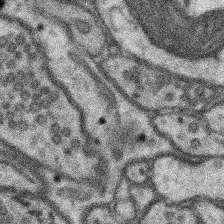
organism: Mouse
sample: Somatosensory cortex neuropil